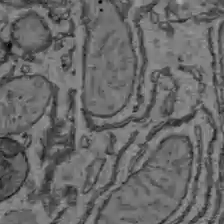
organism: C57BL Mouse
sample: Liver